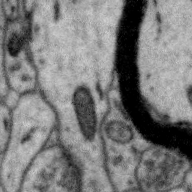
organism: Zebra finch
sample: Brain